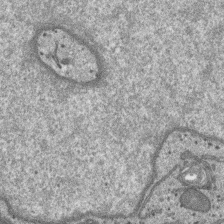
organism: Human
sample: Lung epithelial cells infected with SARS-CoV-2